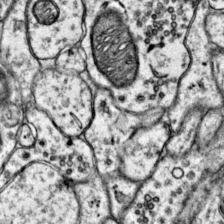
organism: Mouse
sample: Primary visual cortex